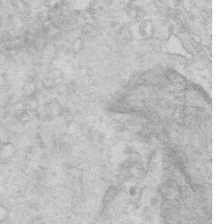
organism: Mouse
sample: Multiciliated cells